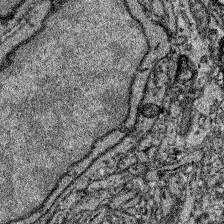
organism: Zebrafish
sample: Larval olfactory bulb